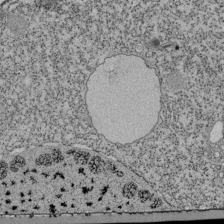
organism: Tetrahymena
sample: Cilia in tetrahymena